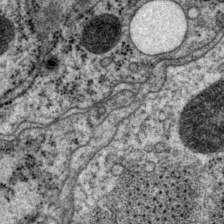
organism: P. pacificus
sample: Pharynx